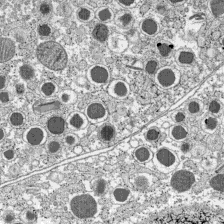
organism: C57BL Mouse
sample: Pancreatic islet